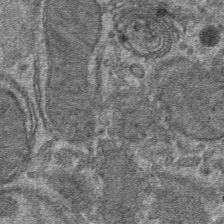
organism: Mouse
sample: Mouse hepatocytes